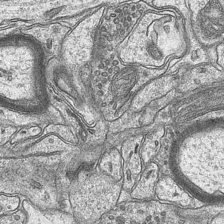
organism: Mouse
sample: CA1 Hippocampus